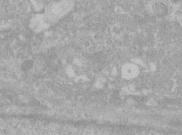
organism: Human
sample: Centriole in RPE cells